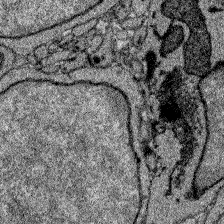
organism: Zebrafish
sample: Larval olfactory bulb